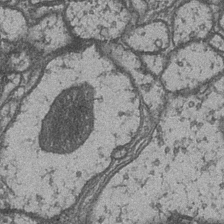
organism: Drosophila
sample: Optic medulla